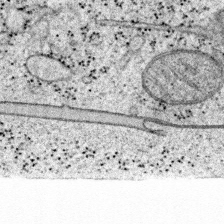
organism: Human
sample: HeLa cells